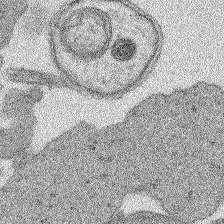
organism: Human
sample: HeLa cells